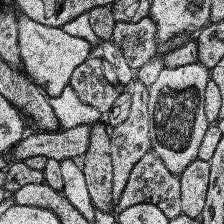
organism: Human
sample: Temporal Lobe